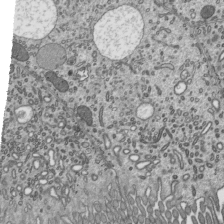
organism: Mouse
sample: Mouse epididymis efferent ductule cilia